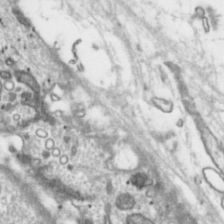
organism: Toxoplasma gondii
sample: Parasites in a vacuole inside a host cell